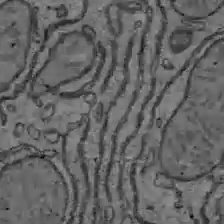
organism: C57BL Mouse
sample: Liver